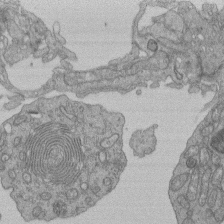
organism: Human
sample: Retinal organoid Rod and Cone cells